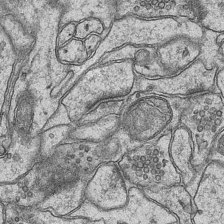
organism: Mouse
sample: CA1 Hippocampus